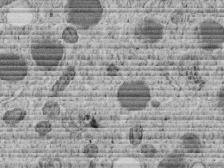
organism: C. elegans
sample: C. elegans embryo early stage